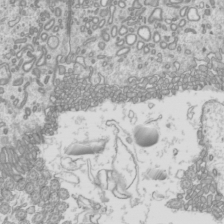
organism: Mouse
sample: Cilia; mouse epididymis